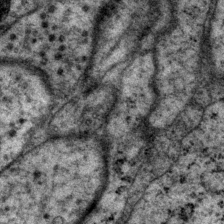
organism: P. pacificus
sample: Pharynx